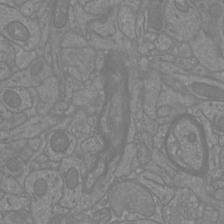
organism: Mouse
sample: Cortical neurons